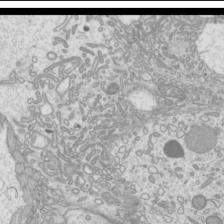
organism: Mouse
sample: Cilia; mouse epididymis